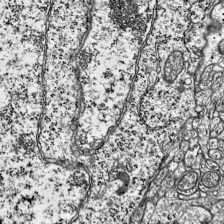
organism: Mouse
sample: Visual Cortex